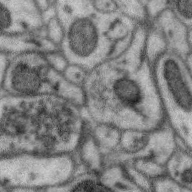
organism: Zebra finch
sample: Brain